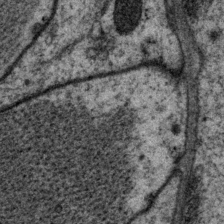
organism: P. pacificus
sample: Pharynx